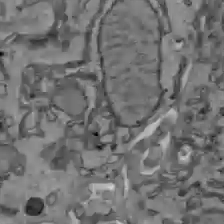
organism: C57BL Mouse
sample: Liver